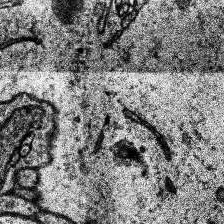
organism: Human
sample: Temporal Lobe